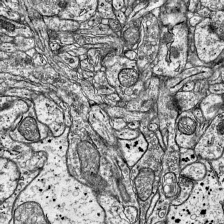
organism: Mouse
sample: Visual Cortex